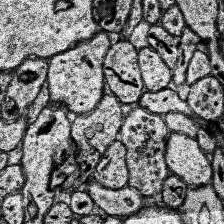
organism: Human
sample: Temporal Lobe